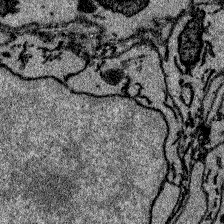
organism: Zebrafish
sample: Larval olfactory bulb